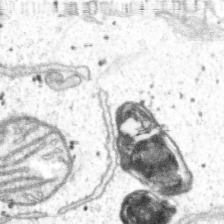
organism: Human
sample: HeLa cells